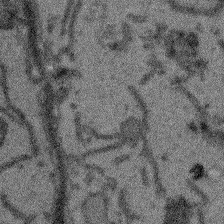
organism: Arabidopsis thaliana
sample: Root tip